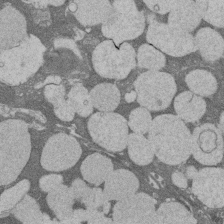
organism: Rat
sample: Salivary granule